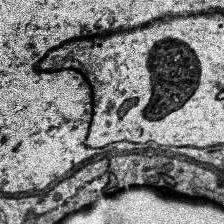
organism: Human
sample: Temporal Lobe